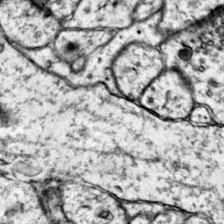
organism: Mouse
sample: Primary visual cortex